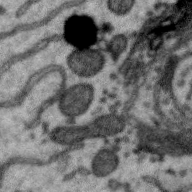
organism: Zebra finch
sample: Brain